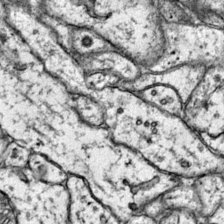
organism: Mouse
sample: Primary visual cortex